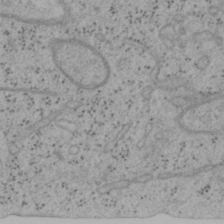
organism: Human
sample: HeLa cells